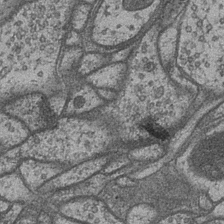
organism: Drosophila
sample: Optic medulla